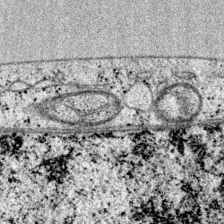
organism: Human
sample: HeLa cells